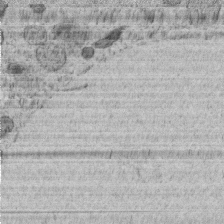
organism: C. elegans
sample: C. elegans embryo early stage